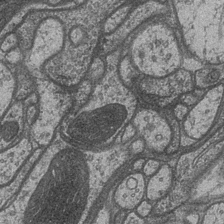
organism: Drosophila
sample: Optic medulla